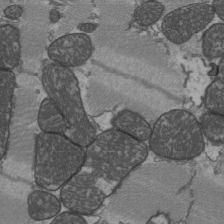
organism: C57BL Mouse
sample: Heart